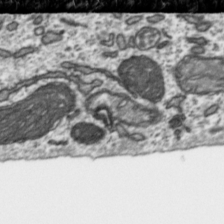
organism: Toxoplasma gondii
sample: Parasites in a vacuole inside a host cell